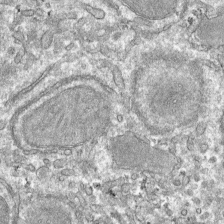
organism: Mouse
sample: Mouse hepatocytes